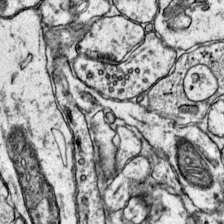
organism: Mouse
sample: Primary visual cortex